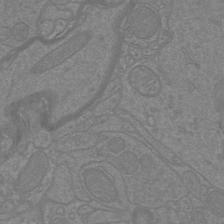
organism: Mouse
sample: Cortical neurons